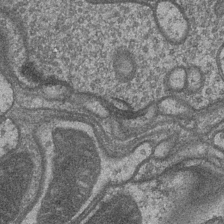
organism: Drosophila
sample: Optic medulla